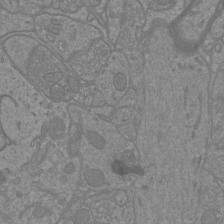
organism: Mouse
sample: Cortical neurons